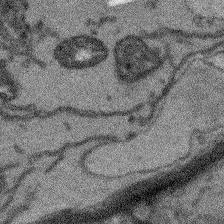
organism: Arabidopsis thaliana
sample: Root tip